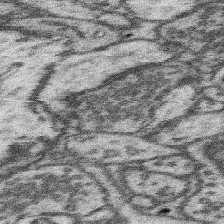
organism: Mouse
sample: Somatosensory cortex neuropil